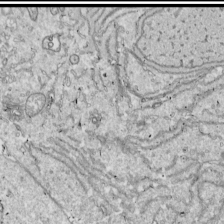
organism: Drosophila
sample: Cell division; meiosis; drosophila spermatocytes